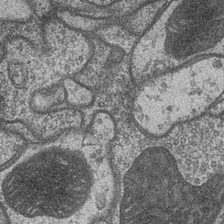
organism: Drosophila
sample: Optic medulla